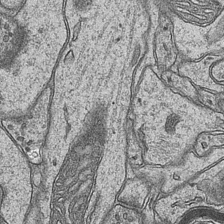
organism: Mouse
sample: CA1 Hippocampus